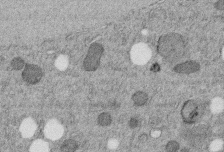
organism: C. elegans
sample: C. elegans embryo early stage